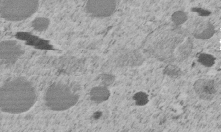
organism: C. elegans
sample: C. elegans embryo early stage